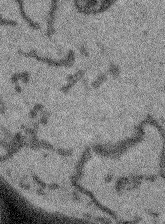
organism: Arabidopsis thaliana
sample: Root tip